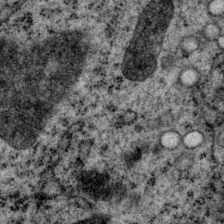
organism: P. pacificus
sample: Pharynx